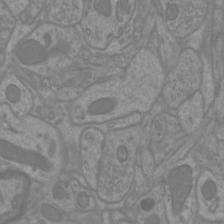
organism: Mouse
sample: Cortical neurons